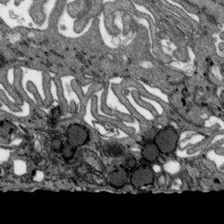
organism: Human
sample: Lung epithelial cells, uninfected (mock) control